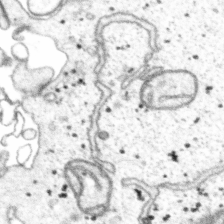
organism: Human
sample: HeLa cells